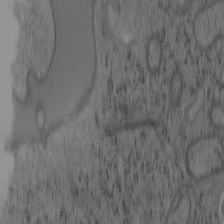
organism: Human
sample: HeLa cells